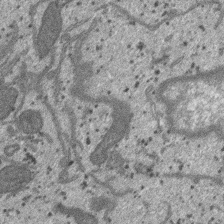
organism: Human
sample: Lung epithelial cells infected with SARS-CoV-2